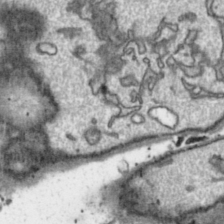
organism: Toxoplasma gondii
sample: Parasites in a vacuole inside a host cell